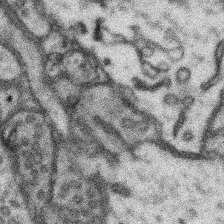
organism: Mouse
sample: Somatosensory cortex neuropil